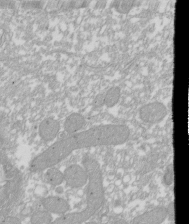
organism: Xenopus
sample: Cilia; centrioles in frog embryo cells